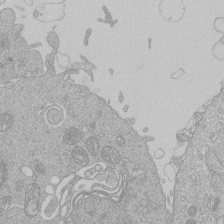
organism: Human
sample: Macrophage cells